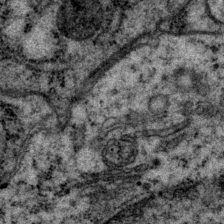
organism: P. pacificus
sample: Pharynx